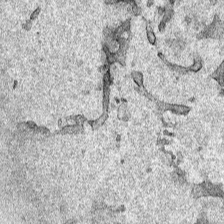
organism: Human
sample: Mitochondria in HCT116 cells